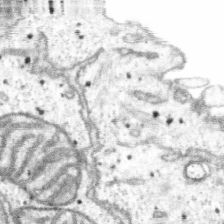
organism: Human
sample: HeLa cells